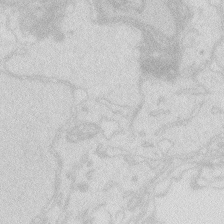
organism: Zebrafish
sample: Macrophage